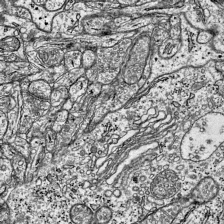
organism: Mouse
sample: Visual Cortex